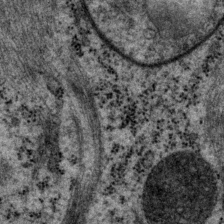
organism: P. pacificus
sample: Pharynx